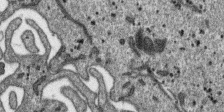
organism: Human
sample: Lung epithelial cells infected with SARS-CoV-2